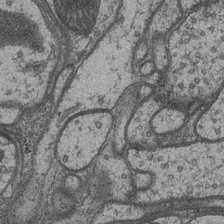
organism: Drosophila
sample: Optic medulla